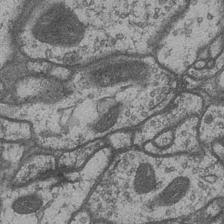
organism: Drosophila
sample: Optic medulla